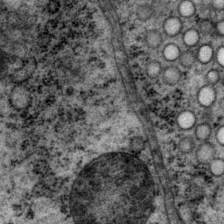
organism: P. pacificus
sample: Pharynx